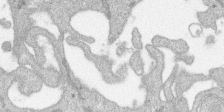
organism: Human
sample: Lung epithelial cells infected with SARS-CoV-2